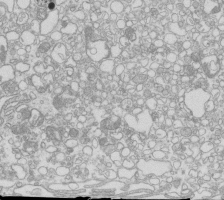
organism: Mouse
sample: Macrophages